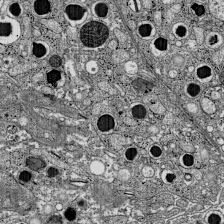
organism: C57BL Mouse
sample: Pancreatic islet